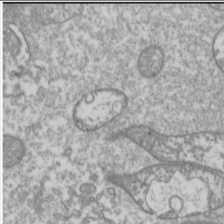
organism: Drosophila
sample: Cell division; meiosis; drosophila spermatocytes